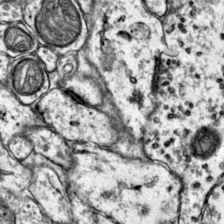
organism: Mouse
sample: Primary visual cortex